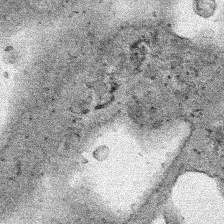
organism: Human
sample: Mitochondria in HCT116 cells